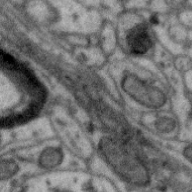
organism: Zebra finch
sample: Brain